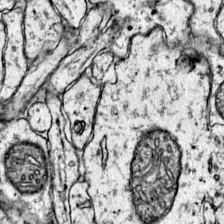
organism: Mouse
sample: Primary visual cortex